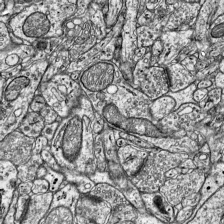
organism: Mouse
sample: Visual Cortex